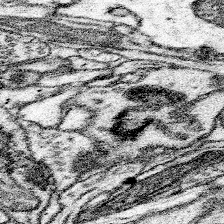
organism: Mouse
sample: Somatosensory cortex neuropil